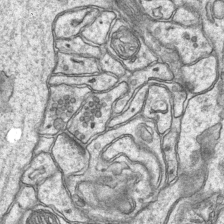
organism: Mouse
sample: CA1 Hippocampus